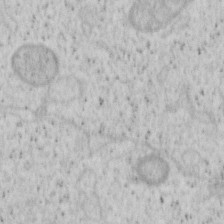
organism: Human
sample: HeLa cells